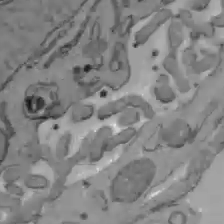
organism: C57BL Mouse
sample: Liver